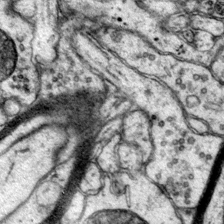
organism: Mouse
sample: Primary visual cortex